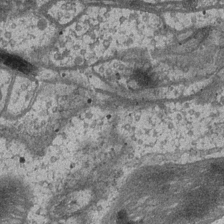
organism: Drosophila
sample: Optic medulla